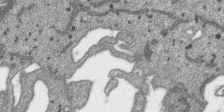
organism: Human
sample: Lung epithelial cells infected with SARS-CoV-2